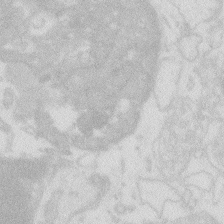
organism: Zebrafish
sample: Macrophage